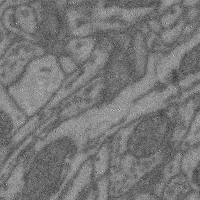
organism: Mouse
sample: Cerebral cortex